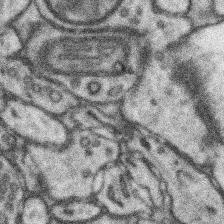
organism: Mouse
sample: Somatosensory cortex neuropil